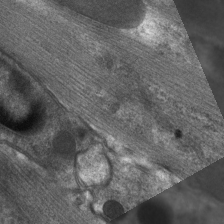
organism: C. elegans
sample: Pharynx